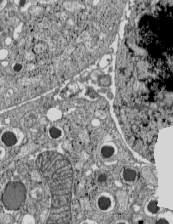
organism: C57BL Mouse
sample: Pancreatic islet